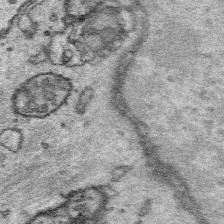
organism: Platynereis dumerilii